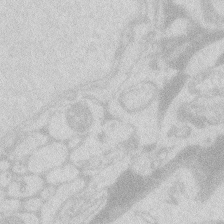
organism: Zebrafish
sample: Macrophage